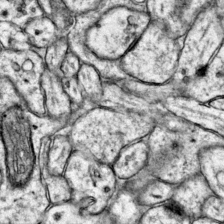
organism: Mouse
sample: Primary visual cortex